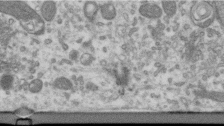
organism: Human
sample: Centriole in RPE cells